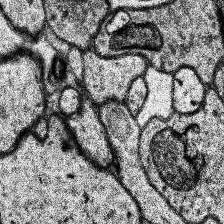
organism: Human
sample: Temporal Lobe